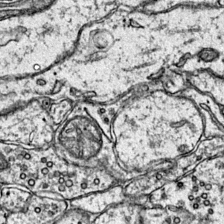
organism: Mouse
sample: Primary visual cortex